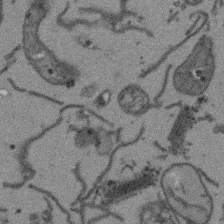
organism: Arabidopsis thaliana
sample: Root tip